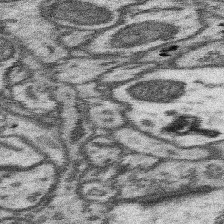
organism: Mouse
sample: Somatosensory cortex neuropil